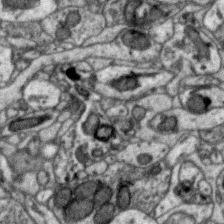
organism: Zebra finch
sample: Brain